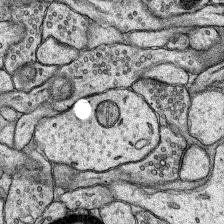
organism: Rat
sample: Hippocampus